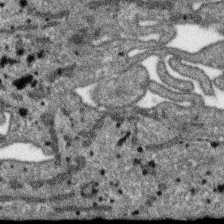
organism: Human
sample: Lung epithelial cells infected with SARS-CoV-2